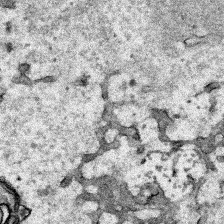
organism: Human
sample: Mitochondria in HCT116 cells